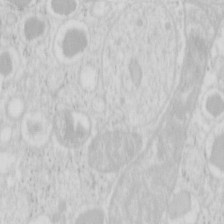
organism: Mouse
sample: Pancreas